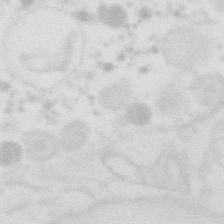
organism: Human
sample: HeLa cells